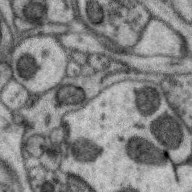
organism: Zebra finch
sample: Brain